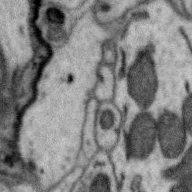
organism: Zebra finch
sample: Brain